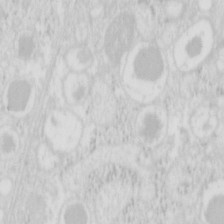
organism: Mouse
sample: Pancreas